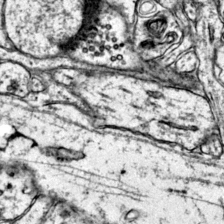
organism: Mouse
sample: Primary visual cortex